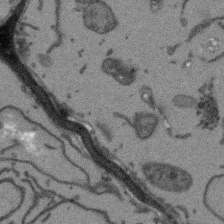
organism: Arabidopsis thaliana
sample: Root tip